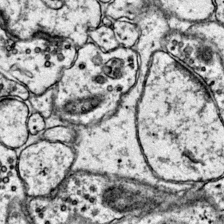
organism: Mouse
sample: Primary visual cortex